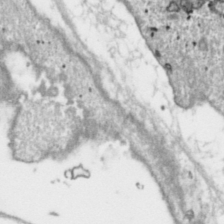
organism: Toxoplasma gondii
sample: Parasites in a vacuole inside a host cell